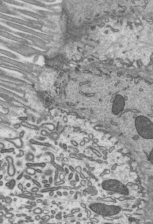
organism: Mouse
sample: Mouse epididymis efferent ductule cilia